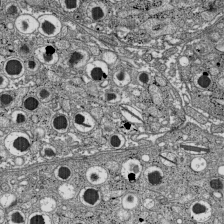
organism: C57BL Mouse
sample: Pancreatic islet